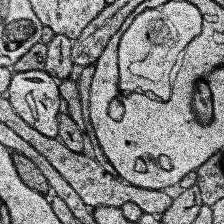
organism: Human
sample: Temporal Lobe